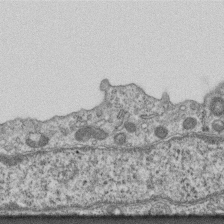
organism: Mouse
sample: Centriole in ependymal cells